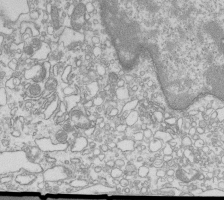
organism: Mouse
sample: Macrophages